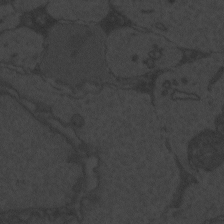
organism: Zebrafish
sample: Macrophage infected with Toxoplasma gondii